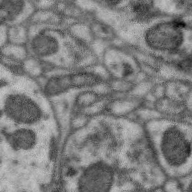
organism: Zebra finch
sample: Brain